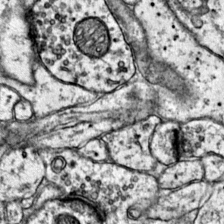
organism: Mouse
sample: Primary visual cortex